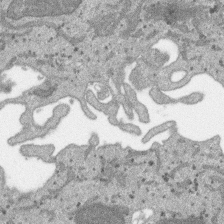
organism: Human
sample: Lung epithelial cells infected with SARS-CoV-2